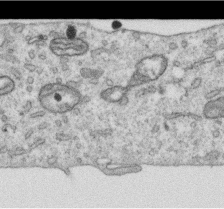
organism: Human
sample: Centriole in RPE cells